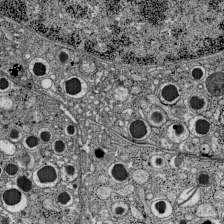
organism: C57BL Mouse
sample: Pancreatic islet